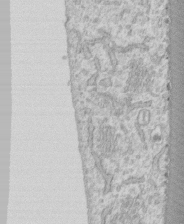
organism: Human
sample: CRL-1474